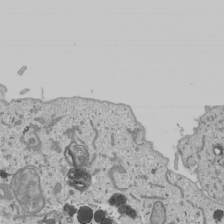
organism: Human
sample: Mitochondria in U2OS cells